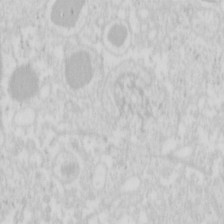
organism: Mouse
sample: Pancreas